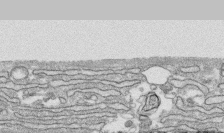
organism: Human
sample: CRL-1474